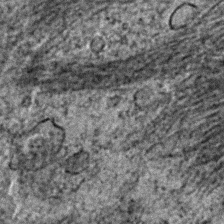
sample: Trachea